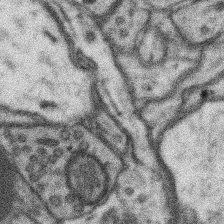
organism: Mouse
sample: Somatosensory cortex neuropil